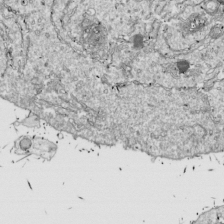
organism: Drosophila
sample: Cell division; meiosis; drosophila spermatocytes